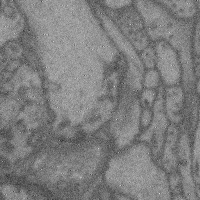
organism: Mouse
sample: Cerebral cortex